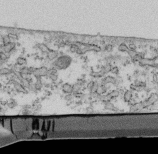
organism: Mouse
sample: Cilia; retinal pigment epithelium